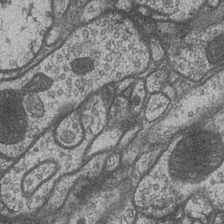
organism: Drosophila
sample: Optic medulla